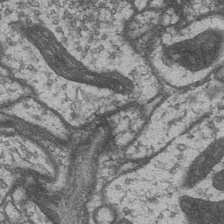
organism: Drosophila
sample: Optic medulla